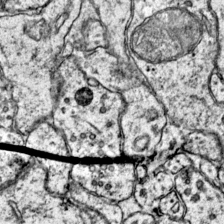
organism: Mouse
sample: Primary visual cortex